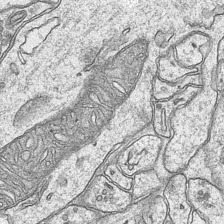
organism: Mouse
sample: CA1 Hippocampus